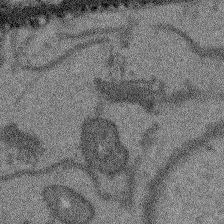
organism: Arabidopsis thaliana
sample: Root tip